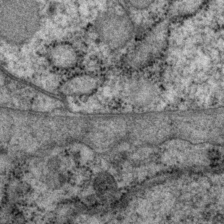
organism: P. pacificus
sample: Pharynx